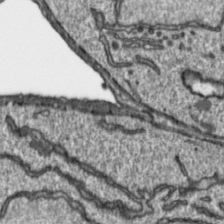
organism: Toxoplasma gondii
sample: Parasites in a vacuole inside a host cell